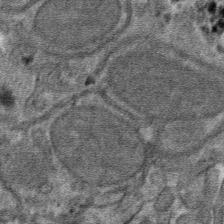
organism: Mouse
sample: Mouse hepatocytes